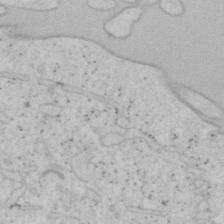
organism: Human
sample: HeLa cells